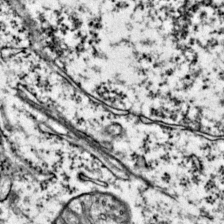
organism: Mouse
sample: Primary visual cortex